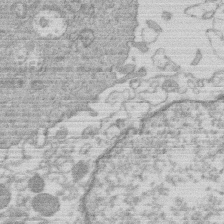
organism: Human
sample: Macrophage cells